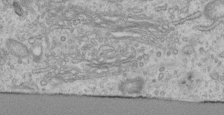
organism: Human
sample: Centriole in RPE cells